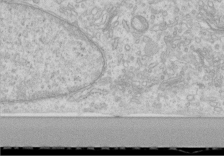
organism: Human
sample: Centriole in RPE cells